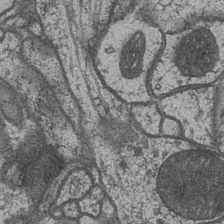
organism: Drosophila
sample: Optic medulla